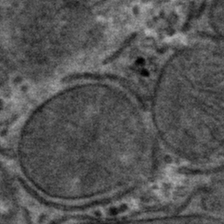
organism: Mouse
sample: Mouse hepatocytes